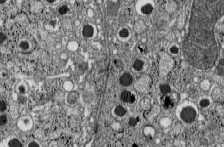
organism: C57BL Mouse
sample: Pancreatic islet